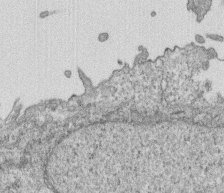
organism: Human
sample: HeLa cell HIV synapse